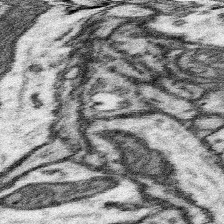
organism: Mouse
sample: Somatosensory cortex neuropil